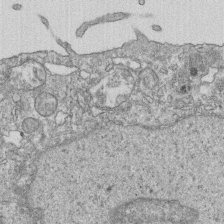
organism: Human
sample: HeLa cell HIV synapse